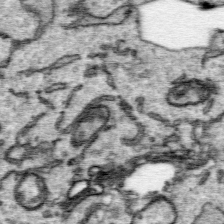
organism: Human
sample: HeLa cells